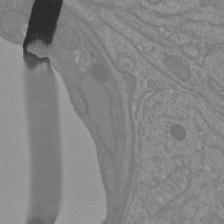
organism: Mouse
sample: Cortical neurons